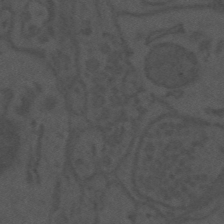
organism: Mouse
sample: Suprachiasmatic nucleus